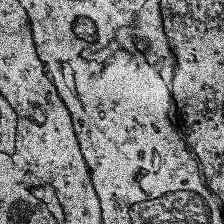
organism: Human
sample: Temporal Lobe